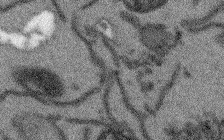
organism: Arabidopsis thaliana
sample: Root tip